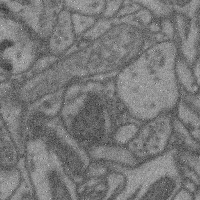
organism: Mouse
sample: Cerebral cortex